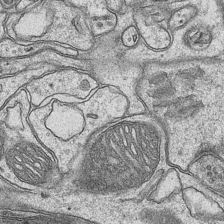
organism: Mouse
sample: CA1 Hippocampus